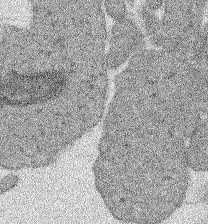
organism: Human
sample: HeLa cells